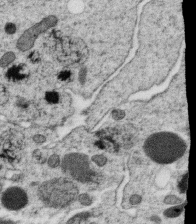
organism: C. elegans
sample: C. elegans oocyte; sperm cells